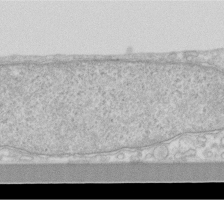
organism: Human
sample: Fibroblast cells